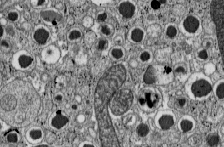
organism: C57BL Mouse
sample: Pancreatic islet